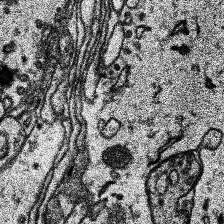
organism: Human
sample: Temporal Lobe